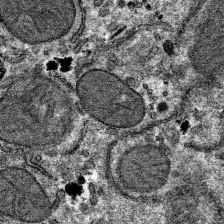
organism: Mouse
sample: Mouse hepatocytes